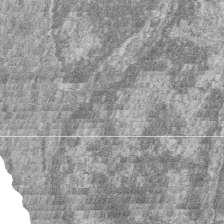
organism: Zebrafish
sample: Cilia; retinal pigment epithelium